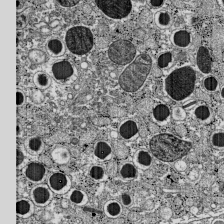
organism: C57BL Mouse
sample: Pancreatic islet